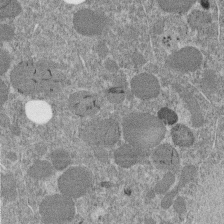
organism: C. elegans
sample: C. elegans embryo early stage